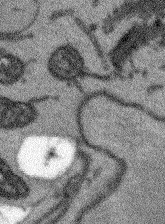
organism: Arabidopsis thaliana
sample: Root tip